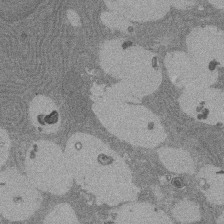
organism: Rat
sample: Salivary granule